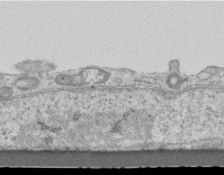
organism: Mouse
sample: Centriole in ependymal cells